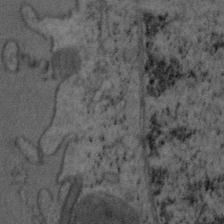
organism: Human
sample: HeLa cells